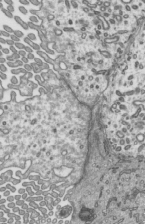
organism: Mouse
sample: Mouse epididymis efferent ductule cilia